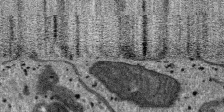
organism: Human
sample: Lung epithelial cells, uninfected (mock) control